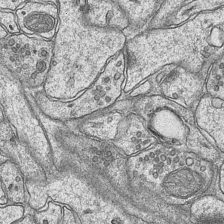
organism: Mouse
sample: CA1 Hippocampus